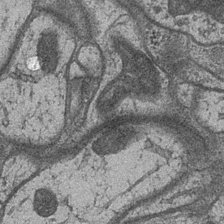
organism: Drosophila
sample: Optic medulla